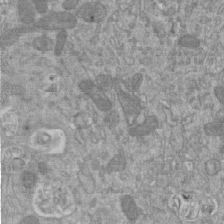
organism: Mouse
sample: ED-1 cell nuclei; centrioles